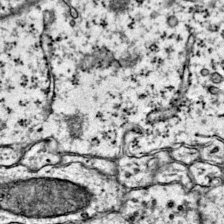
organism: Mouse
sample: Primary visual cortex